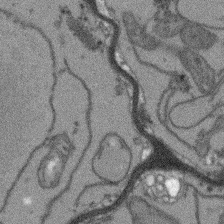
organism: Arabidopsis thaliana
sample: Root tip